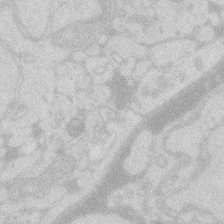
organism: Zebrafish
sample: Macrophage